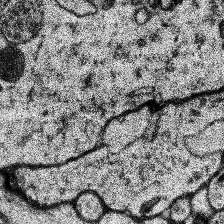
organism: Human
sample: Temporal Lobe